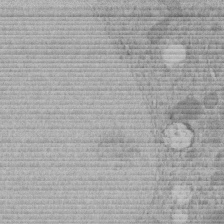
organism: C. elegans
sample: C. elegans embryo early stage